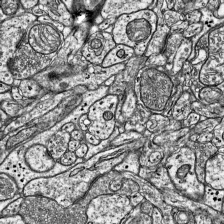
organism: Mouse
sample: Visual Cortex